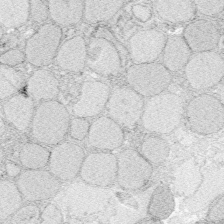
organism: Zebrafish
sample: Whole-Brain